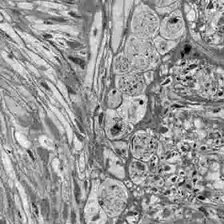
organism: Drosophila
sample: Optic lobe